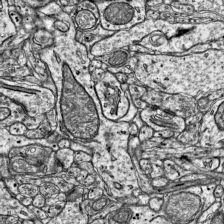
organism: Mouse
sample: Visual Cortex